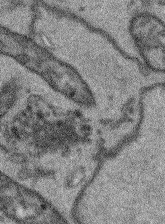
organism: Arabidopsis thaliana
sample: Root tip